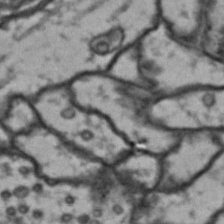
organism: Drosophila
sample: Brain